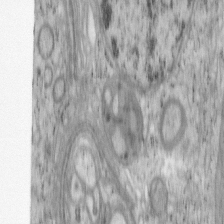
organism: Human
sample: HeLa cells